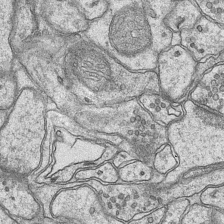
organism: Mouse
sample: CA1 Hippocampus